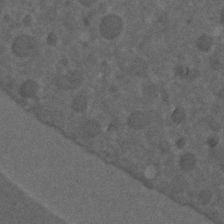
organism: C. elegans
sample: C. elegans embryo